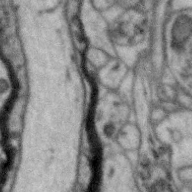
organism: Zebra finch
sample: Brain